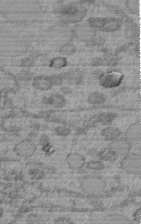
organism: C. elegans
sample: C. elegans embryo early stage